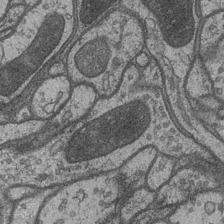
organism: Drosophila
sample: Optic medulla